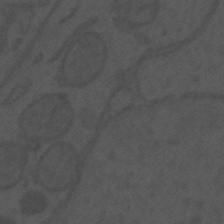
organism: Mouse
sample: Suprachiasmatic nucleus